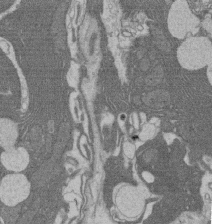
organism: Rat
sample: Salivary granule